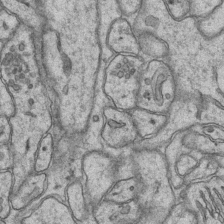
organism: Mouse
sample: CA1 Hippocampus